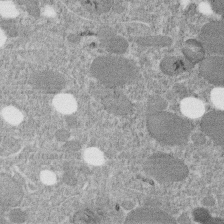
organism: C. elegans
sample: C. elegans embryo early stage